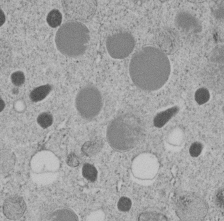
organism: C. elegans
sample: C. elegans embryo early stage